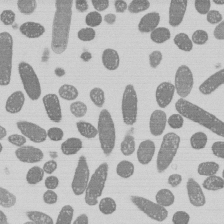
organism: E. coli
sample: Bacterial nucleoid